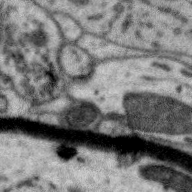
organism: Zebra finch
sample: Brain